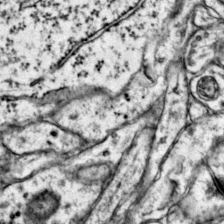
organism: Mouse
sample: Primary visual cortex